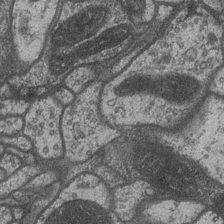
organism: Drosophila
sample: Optic medulla